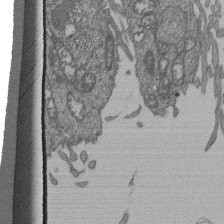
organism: Human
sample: Retinal organoid Rod and Cone cells